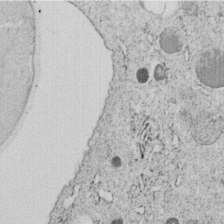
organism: C. elegans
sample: C. elegans embryo early stage